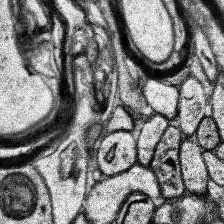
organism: Human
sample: Temporal Lobe